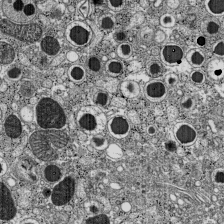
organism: C57BL Mouse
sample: Pancreatic islet